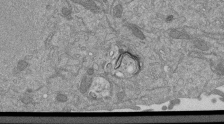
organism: Mouse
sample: ED-1 cell nuclei; centrioles